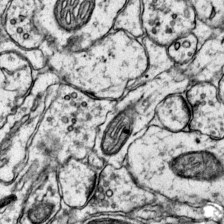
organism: Mouse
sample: Primary visual cortex